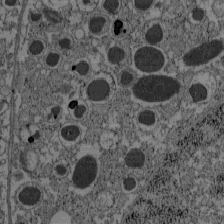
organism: C57BL Mouse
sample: Pancreatic islet